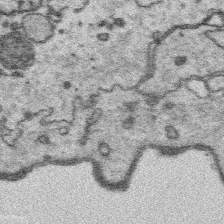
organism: Platynereis dumerilii